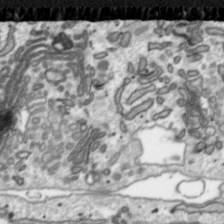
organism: Toxoplasma gondii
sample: Parasites in a vacuole inside a host cell